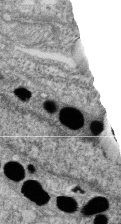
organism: Zebrafish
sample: Cilia; retinal pigment epithelium